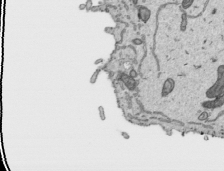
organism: Human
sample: Mitochondria in HCT116 cells